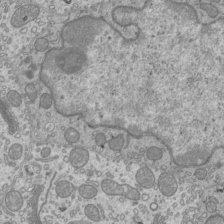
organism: Mouse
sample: Cilia; mouse epididymis